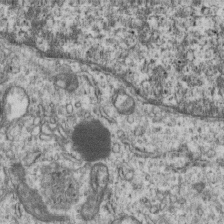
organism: Human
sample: MDA-MB-231 cells